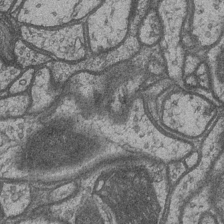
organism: Drosophila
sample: Optic medulla